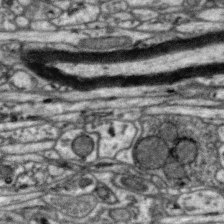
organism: Zebra finch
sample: Brain